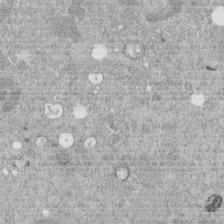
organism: C. elegans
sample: C. elegans embryo early stage